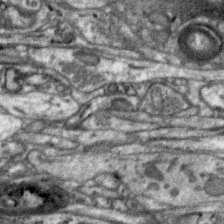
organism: Zebra finch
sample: Brain